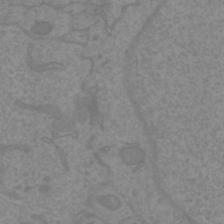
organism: Mouse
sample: Cortical neurons